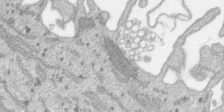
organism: Human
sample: Lung epithelial cells infected with SARS-CoV-2